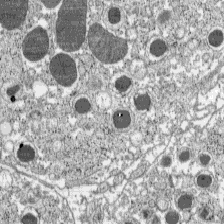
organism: C57BL Mouse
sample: Pancreatic islet